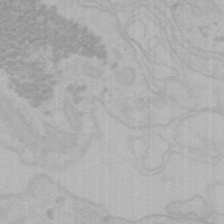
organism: Mouse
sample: Choroid plexus